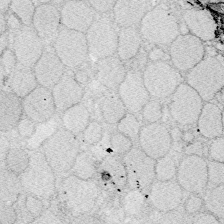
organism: Zebrafish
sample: Whole-Brain